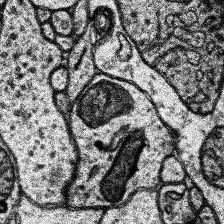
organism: Human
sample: Temporal Lobe